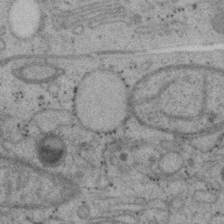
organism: Human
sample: HeLa cells